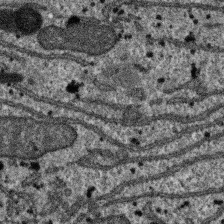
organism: Human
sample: Lung epithelial cells infected with SARS-CoV-2